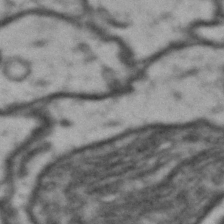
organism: Drosophila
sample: Brain